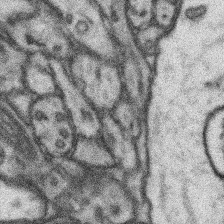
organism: Mouse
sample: Somatosensory cortex neuropil